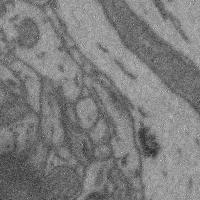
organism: Mouse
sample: Cerebral cortex